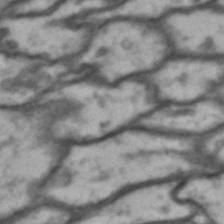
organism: Drosophila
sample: Brain